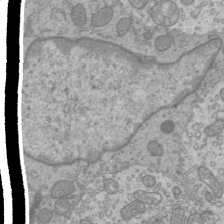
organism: Mouse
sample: Cilia; mouse epididymis